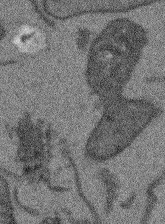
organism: Arabidopsis thaliana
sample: Root tip